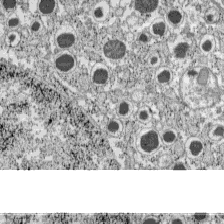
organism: C57BL Mouse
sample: Pancreatic islet